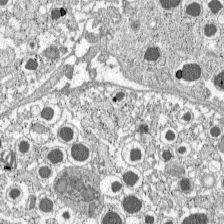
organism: C57BL Mouse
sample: Pancreatic islet